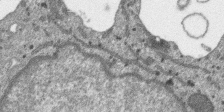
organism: Human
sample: Lung epithelial cells infected with SARS-CoV-2